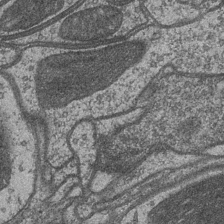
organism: Drosophila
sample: Optic medulla